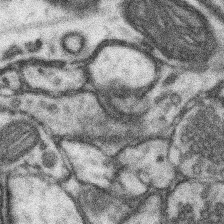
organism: Mouse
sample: Somatosensory cortex neuropil